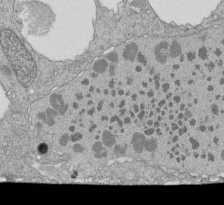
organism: Tetrahymena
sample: Cilia in tetrahymena